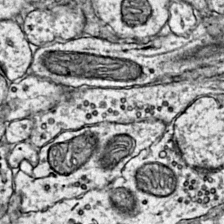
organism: Mouse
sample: Primary visual cortex